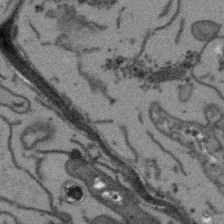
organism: Arabidopsis thaliana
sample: Root tip